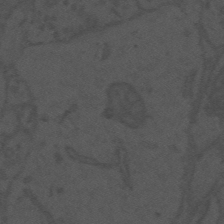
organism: Mouse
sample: Suprachiasmatic nucleus